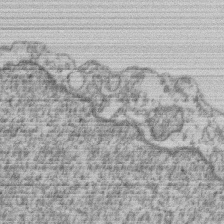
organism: Mouse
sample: T cell stromal cell synapse